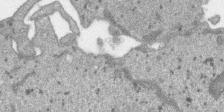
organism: Human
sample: Lung epithelial cells infected with SARS-CoV-2